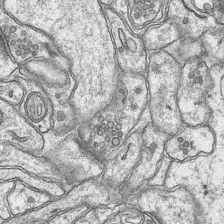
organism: Mouse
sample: CA1 Hippocampus